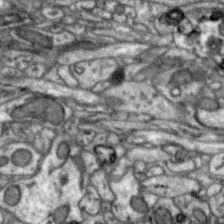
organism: Zebra finch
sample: Brain